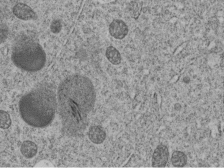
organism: C. elegans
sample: C. elegans embryo early stage